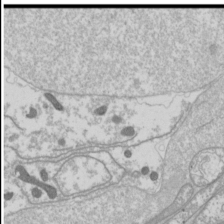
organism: Drosophila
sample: Cell division; meiosis; drosophila spermatocytes